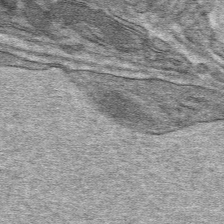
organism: Mouse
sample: Mouse hepatocytes